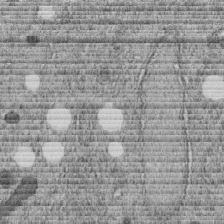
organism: C. elegans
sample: C. elegans embryo early stage